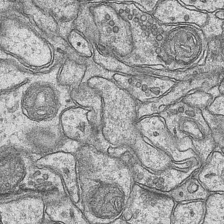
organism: Mouse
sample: CA1 Hippocampus